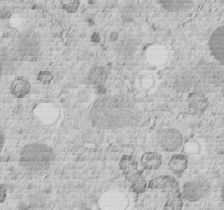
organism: C. elegans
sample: C. elegans embryo early stage